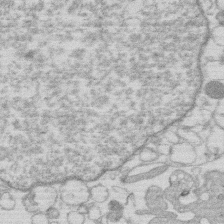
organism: Human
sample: Macrophage cells